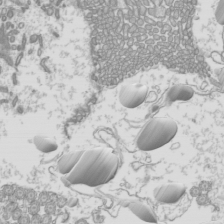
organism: Mouse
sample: Cilia; mouse epididymis